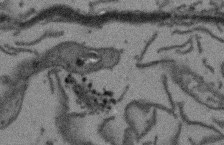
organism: Arabidopsis thaliana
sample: Root tip